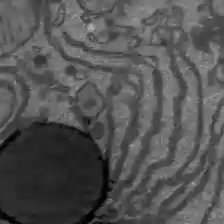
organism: C57BL Mouse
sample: Liver